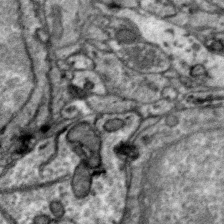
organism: Zebra finch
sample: Brain